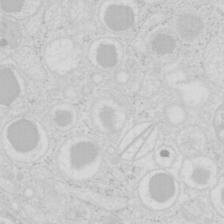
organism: Mouse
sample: Pancreas